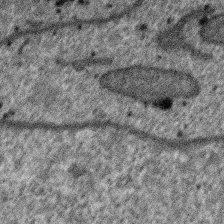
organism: Human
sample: Lung epithelial cells infected with SARS-CoV-2